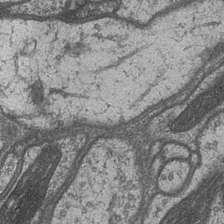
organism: Drosophila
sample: Optic medulla